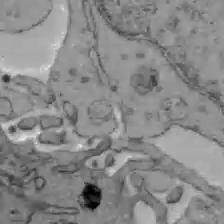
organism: C57BL Mouse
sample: Liver